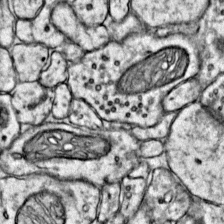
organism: Mouse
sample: Primary visual cortex